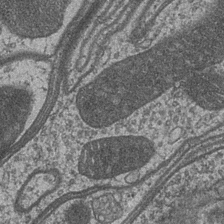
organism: Drosophila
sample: Optic medulla